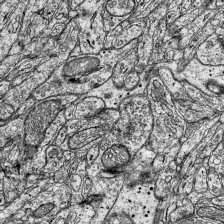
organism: Mouse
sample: Visual Cortex